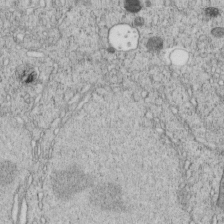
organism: C. elegans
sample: C. elegans embryo early stage